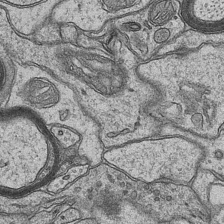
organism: Mouse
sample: CA1 Hippocampus